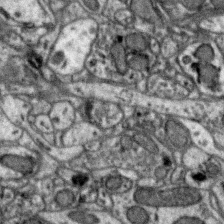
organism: Zebra finch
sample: Brain